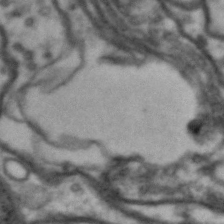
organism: Drosophila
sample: Brain